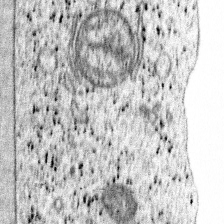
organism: Human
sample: HeLa cells